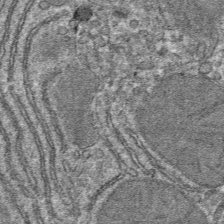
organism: Mouse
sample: Mouse hepatocytes